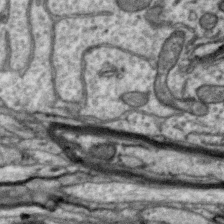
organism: Zebra finch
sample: Brain